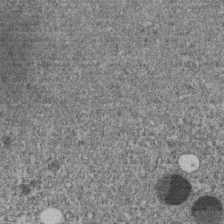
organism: C. elegans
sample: C. elegans embryo early stage